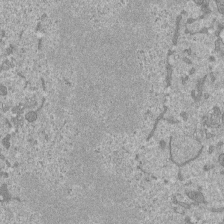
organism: Mouse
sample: ED-1 cell nuclei; centrioles